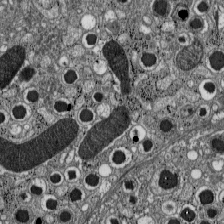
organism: C57BL Mouse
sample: Pancreatic islet